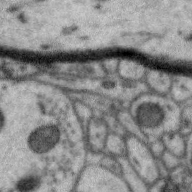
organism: Zebra finch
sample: Brain